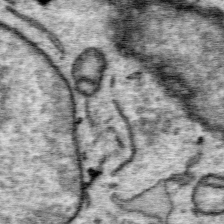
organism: Human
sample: HeLa cells